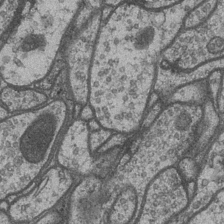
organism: Drosophila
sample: Optic medulla